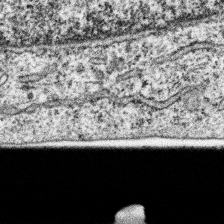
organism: Human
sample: HeLa cells